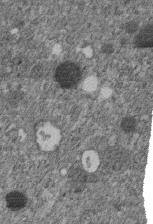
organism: C. elegans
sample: C. elegans embryo early stage